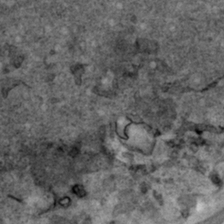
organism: Human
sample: Mitochondria in HCT116 cells